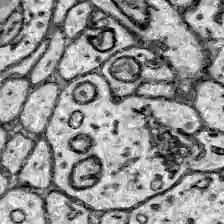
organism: Zebrafish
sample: Brain